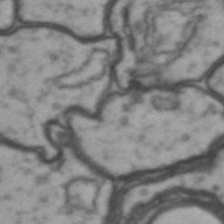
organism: Drosophila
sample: Brain